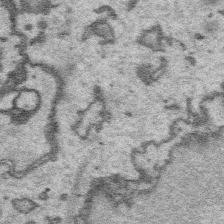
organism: Platynereis dumerilii